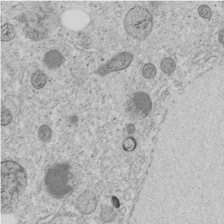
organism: C. elegans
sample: C. elegans embryo early stage